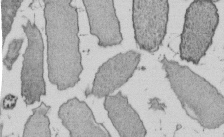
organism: E. coli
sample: Bacterial nucleoid